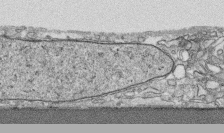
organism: Human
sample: CRL-1474